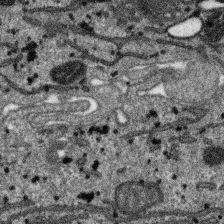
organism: Human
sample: Lung epithelial cells infected with SARS-CoV-2